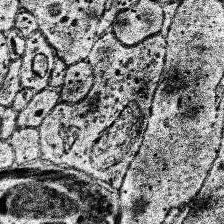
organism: Human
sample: Temporal Lobe